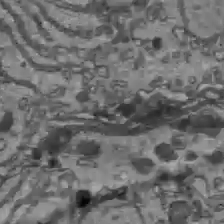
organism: C57BL Mouse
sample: Liver